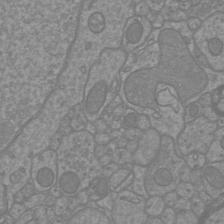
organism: Mouse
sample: Cortical neurons